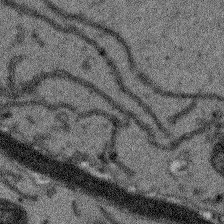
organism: Arabidopsis thaliana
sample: Root tip